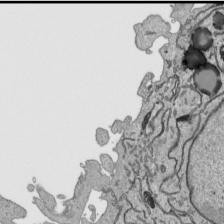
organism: Human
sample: Mitochondria in HCT116 cells